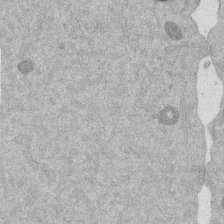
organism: Mouse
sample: Dividing mouse embryo 1 cell stage